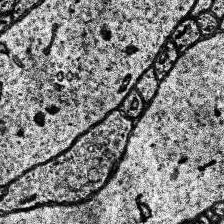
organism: Human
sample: Temporal Lobe